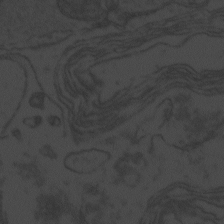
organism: Zebrafish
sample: Macrophage infected with Toxoplasma gondii